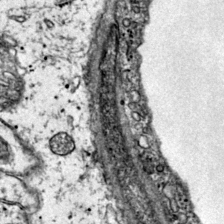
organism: Mouse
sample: Primary visual cortex